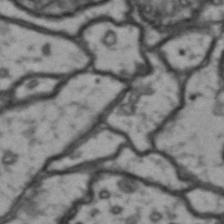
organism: Drosophila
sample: Brain